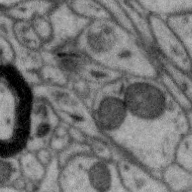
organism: Zebra finch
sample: Brain